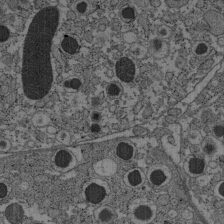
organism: C57BL Mouse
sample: Pancreatic islet